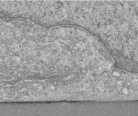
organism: Human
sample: Centriole in RPE cells